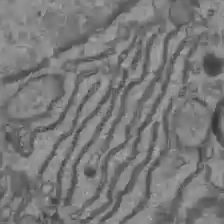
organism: C57BL Mouse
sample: Liver